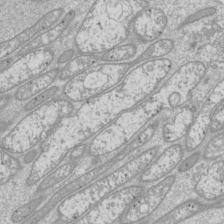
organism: Drosophila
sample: Cell division; meiosis; drosophila spermatocytes